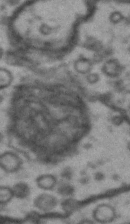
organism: Drosophila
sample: Brain